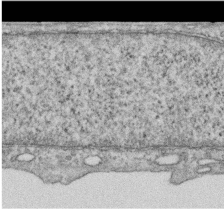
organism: Human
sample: Centriole in RPE cells